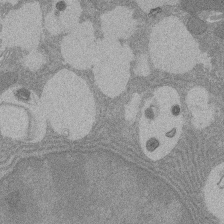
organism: Rat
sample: Salivary granule